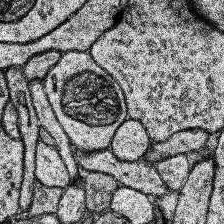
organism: Human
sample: Temporal Lobe